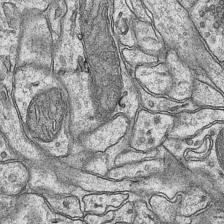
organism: Mouse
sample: CA1 Hippocampus